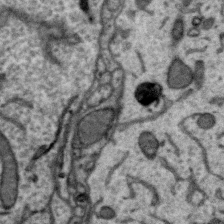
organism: Zebra finch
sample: Brain